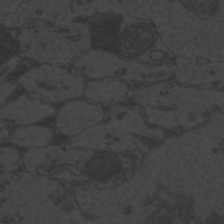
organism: Zebrafish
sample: Macrophage infected with Toxoplasma gondii